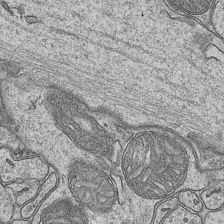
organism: Mouse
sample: CA1 Hippocampus